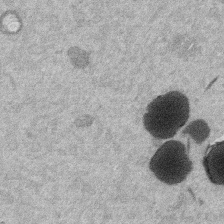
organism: Mouse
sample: Dividing mouse embryo 1 cell stage